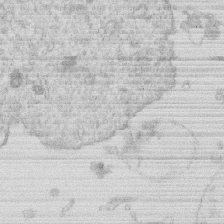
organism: Human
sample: Macrophage cells